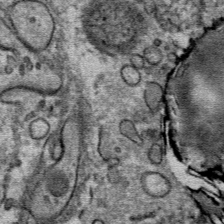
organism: Mouse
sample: Mouse Salivary gland